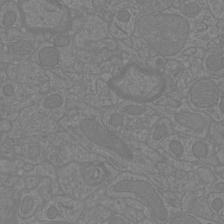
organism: Mouse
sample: Cortical neurons